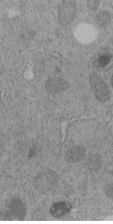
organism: C. elegans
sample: C. elegans embryo early stage